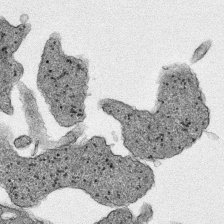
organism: Human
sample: Mitochondria in HCT116 cells